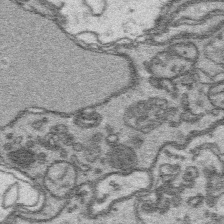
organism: Platynereis dumerilii